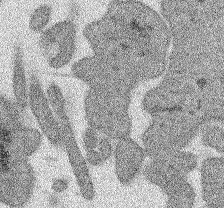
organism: Human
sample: HeLa cells